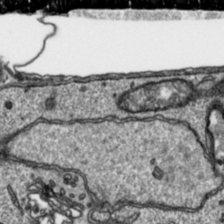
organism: Toxoplasma gondii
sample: Parasites in a vacuole inside a host cell